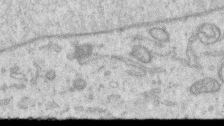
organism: Human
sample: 1205lu cells